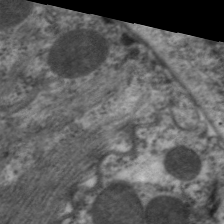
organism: C. elegans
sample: Pharynx